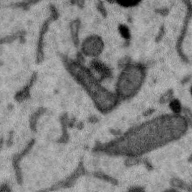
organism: Zebra finch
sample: Brain